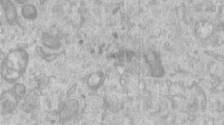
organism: Human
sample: Centriole in RPE cells